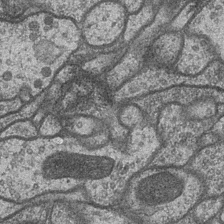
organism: Drosophila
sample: Optic medulla